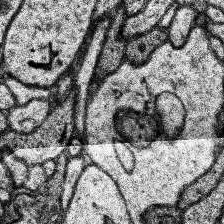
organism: Human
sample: Temporal Lobe